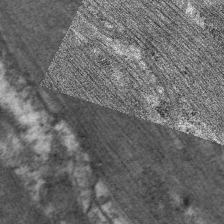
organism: C. elegans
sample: Pharynx